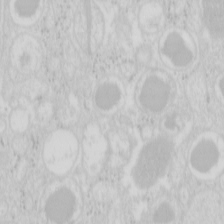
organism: Mouse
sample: Pancreas